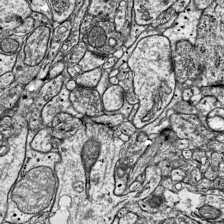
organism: Mouse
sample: Visual Cortex